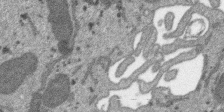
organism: Human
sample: Lung epithelial cells infected with SARS-CoV-2